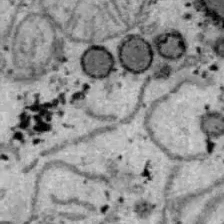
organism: Mouse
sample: Liver from an obese (ob/ob) mouse